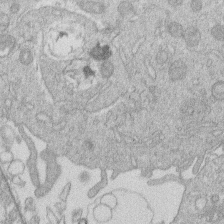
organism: Human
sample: Macrophage cells